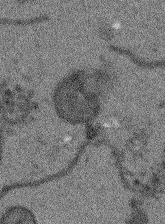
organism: Arabidopsis thaliana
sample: Root tip